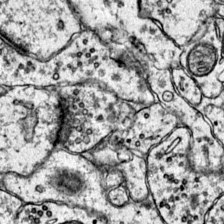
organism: Mouse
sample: Primary visual cortex